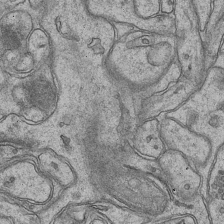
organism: Mouse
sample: CA1 Hippocampus